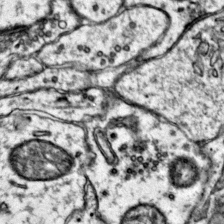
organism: Mouse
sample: Primary visual cortex